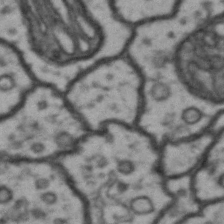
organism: Drosophila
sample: Brain